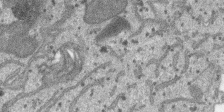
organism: Human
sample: Lung epithelial cells infected with SARS-CoV-2